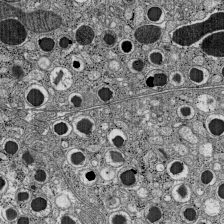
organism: C57BL Mouse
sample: Pancreatic islet